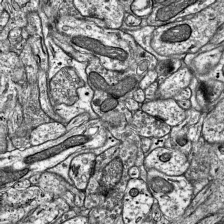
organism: Mouse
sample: Visual Cortex